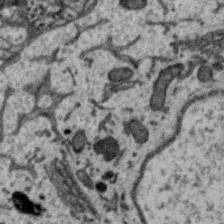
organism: Zebra finch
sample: Brain